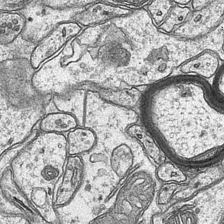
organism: Mouse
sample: CA1 Hippocampus